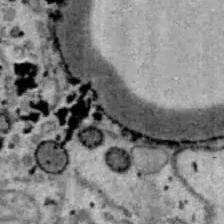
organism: Mouse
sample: Liver from an obese (ob/ob) mouse